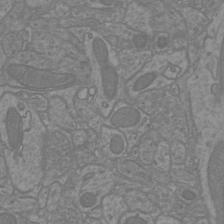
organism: Mouse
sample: Cortical neurons